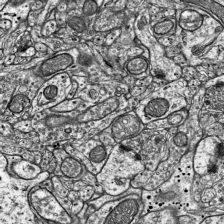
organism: Mouse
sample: Visual Cortex